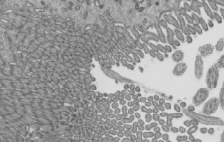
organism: Mouse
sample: Mouse epididymis efferent ductule cilia